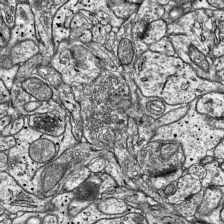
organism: Mouse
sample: Visual Cortex